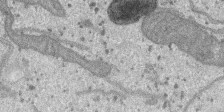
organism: Human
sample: Lung epithelial cells infected with SARS-CoV-2